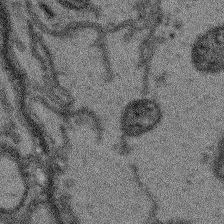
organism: Arabidopsis thaliana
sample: Root tip